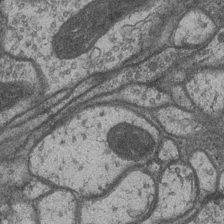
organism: Drosophila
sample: Optic medulla